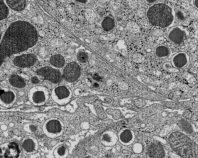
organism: C57BL Mouse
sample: Pancreatic islet